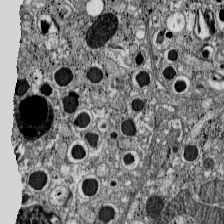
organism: C57BL Mouse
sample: Pancreatic islet